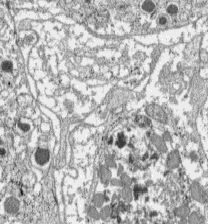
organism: C57BL Mouse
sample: Pancreatic islet